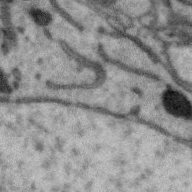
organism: Zebra finch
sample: Brain